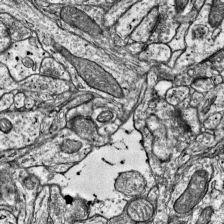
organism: Mouse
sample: Visual Cortex